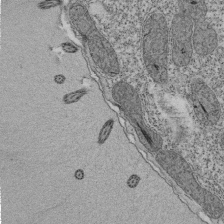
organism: Tetrahymena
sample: Cilia in tetrahymena